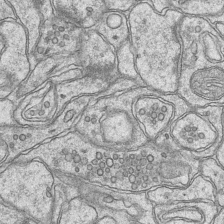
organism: Mouse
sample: CA1 Hippocampus